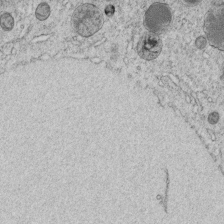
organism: C. elegans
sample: C. elegans embryo early stage